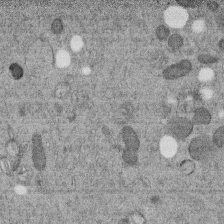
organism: C. elegans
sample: C. elegans embryo early stage